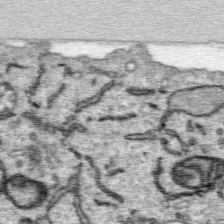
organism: Human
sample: HeLa cells